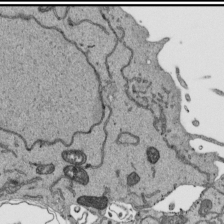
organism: Human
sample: Mitochondria in HCT116 cells